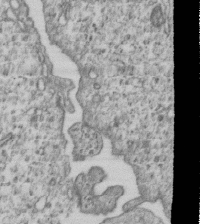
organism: Human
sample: MDA-MB-231 cells